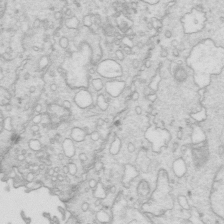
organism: Mouse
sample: Multiciliated cells